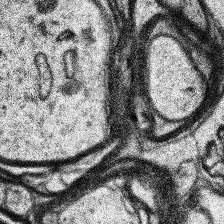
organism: Human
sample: Temporal Lobe